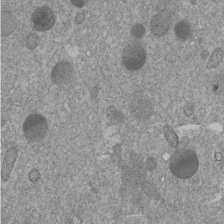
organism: C. elegans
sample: C. elegans embryo early stage